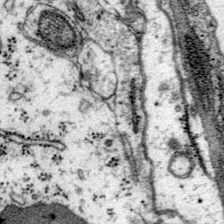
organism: Mouse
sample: Primary visual cortex